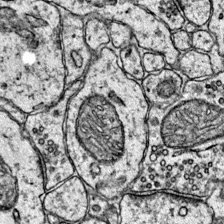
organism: Mouse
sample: Primary visual cortex